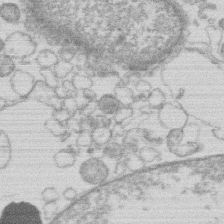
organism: Human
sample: Macrophage cells